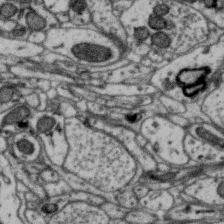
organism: Zebra finch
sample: Brain